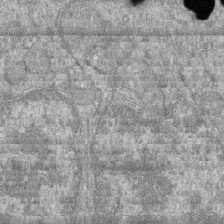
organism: Zebrafish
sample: Cilia; retinal pigment epithelium